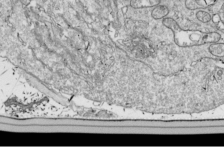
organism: Drosophila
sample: Cell division; meiosis; drosophila spermatocytes